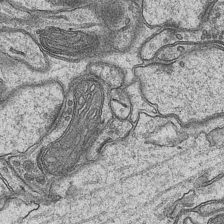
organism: Mouse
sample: CA1 Hippocampus